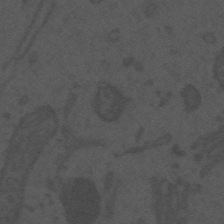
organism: Mouse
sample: Suprachiasmatic nucleus